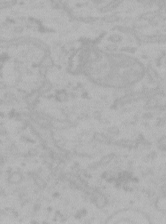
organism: Mouse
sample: Choroid plexus